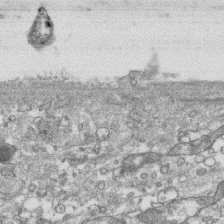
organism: Human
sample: CRL-1474